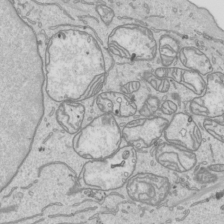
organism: Human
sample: Mitochondria in HCT116 cells